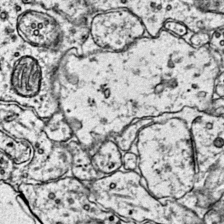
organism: Mouse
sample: Primary visual cortex